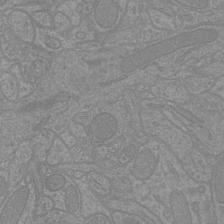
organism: Mouse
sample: Cortical neurons